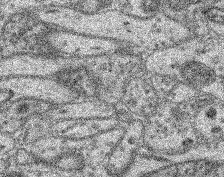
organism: Mouse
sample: Retina